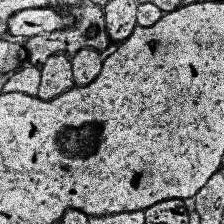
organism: Human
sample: Temporal Lobe